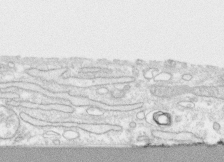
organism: Human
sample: CRL-1474